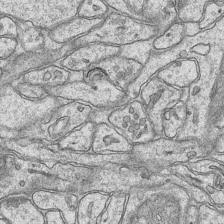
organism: Mouse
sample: CA1 Hippocampus